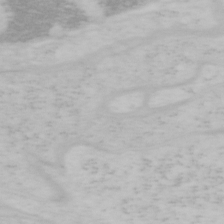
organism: Mouse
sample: OT-I killer T cells with ID8 ovarian cancer cells